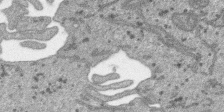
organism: Human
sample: Lung epithelial cells infected with SARS-CoV-2